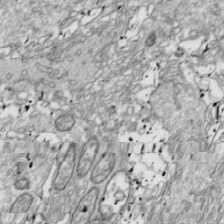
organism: Drosophila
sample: Cell division; meiosis; drosophila spermatocytes